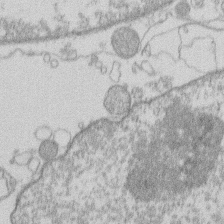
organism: Human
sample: Macrophage cells